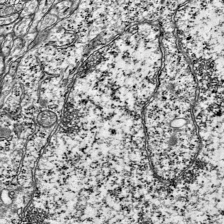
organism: Mouse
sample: Visual Cortex